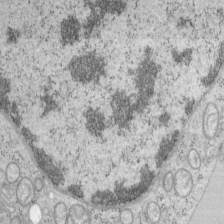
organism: Mouse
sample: OT-I killer T cells with ID8 ovarian cancer cells